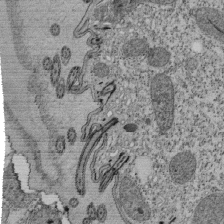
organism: Tetrahymena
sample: Cilia in tetrahymena